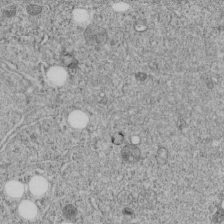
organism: C. elegans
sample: C. elegans embryo early stage